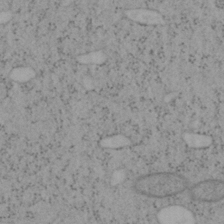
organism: Mouse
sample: OT-I killer T cells with ID8 ovarian cancer cells